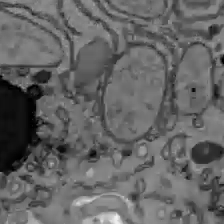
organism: C57BL Mouse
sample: Liver